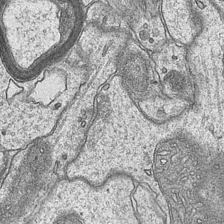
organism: Mouse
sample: CA1 Hippocampus